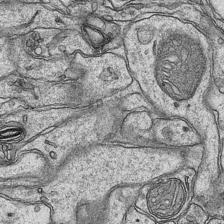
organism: Mouse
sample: CA1 Hippocampus